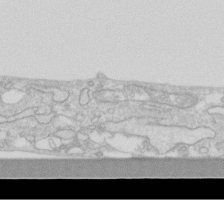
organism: Human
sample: Fibroblast cells